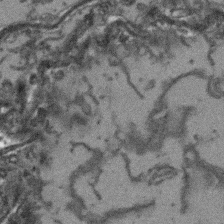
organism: Arabidopsis thaliana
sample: Root tip